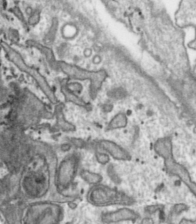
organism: Toxoplasma gondii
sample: Parasites in a vacuole inside a host cell